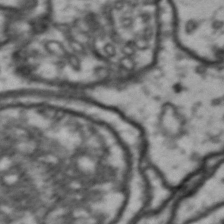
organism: Drosophila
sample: Brain